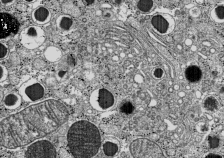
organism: C57BL Mouse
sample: Pancreatic islet